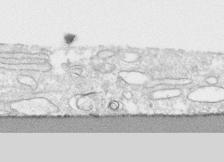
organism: Human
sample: CRL-1474